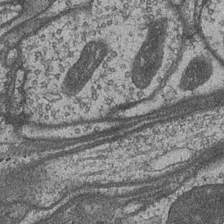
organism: Drosophila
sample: Optic medulla